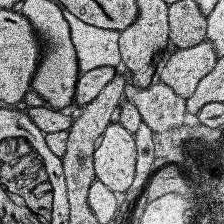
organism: Human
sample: Temporal Lobe